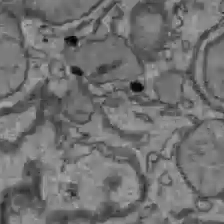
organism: C57BL Mouse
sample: Liver